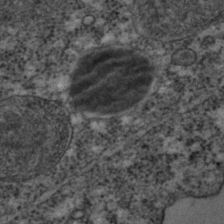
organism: C. elegans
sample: C. elegans embryo